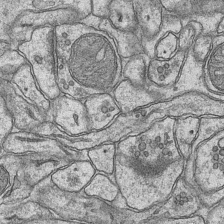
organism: Mouse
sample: CA1 Hippocampus